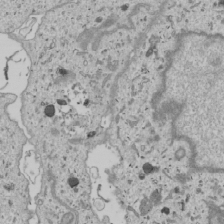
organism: Human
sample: Mitochondria in U2OS cells